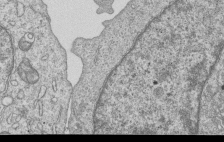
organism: Human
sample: MDA-MB-231 cells